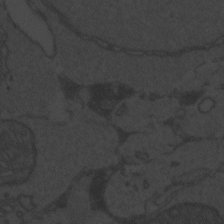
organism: Zebrafish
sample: Macrophage infected with Toxoplasma gondii